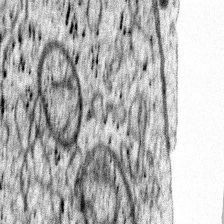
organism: Human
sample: HeLa cells